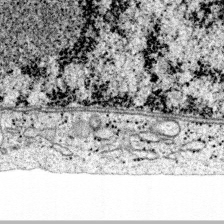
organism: Human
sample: HeLa cells